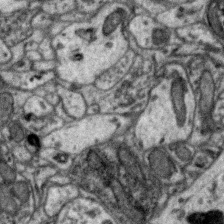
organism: Zebra finch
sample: Brain